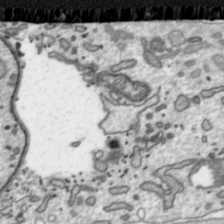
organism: Toxoplasma gondii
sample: Parasites in a vacuole inside a host cell